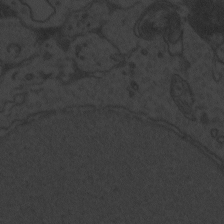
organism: Zebrafish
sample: Macrophage infected with Toxoplasma gondii